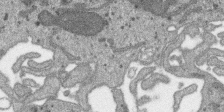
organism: Human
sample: Lung epithelial cells infected with SARS-CoV-2